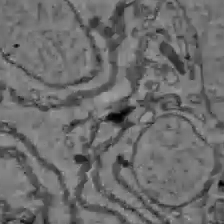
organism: C57BL Mouse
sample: Liver